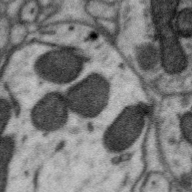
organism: Zebra finch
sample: Brain